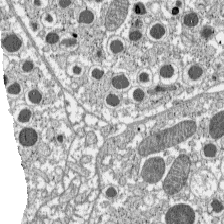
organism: C57BL Mouse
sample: Pancreatic islet